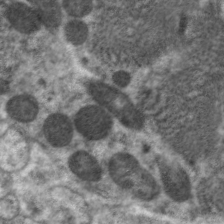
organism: C. elegans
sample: Pharynx